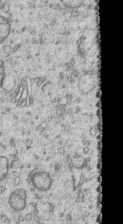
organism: Human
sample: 1205lu cells